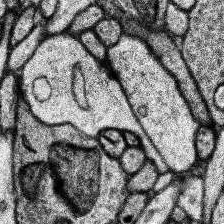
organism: Human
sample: Temporal Lobe